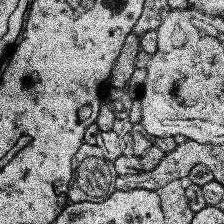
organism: Human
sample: Temporal Lobe